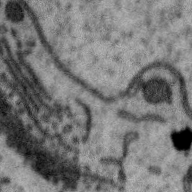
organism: Zebra finch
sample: Brain